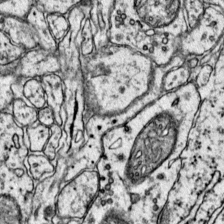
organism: Mouse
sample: Primary visual cortex